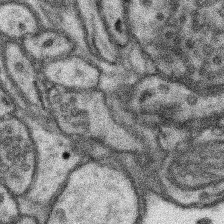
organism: Mouse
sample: Somatosensory cortex neuropil